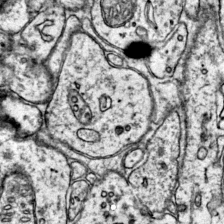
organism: Mouse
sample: Primary visual cortex